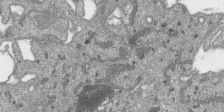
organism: Human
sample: Lung epithelial cells infected with SARS-CoV-2